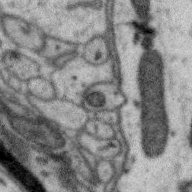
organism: Zebra finch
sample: Brain